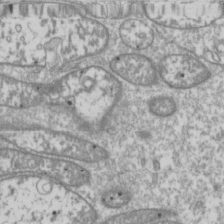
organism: Drosophila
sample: Cell division; meiosis; drosophila spermatocytes